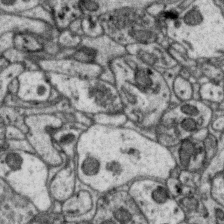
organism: Zebra finch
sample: Brain